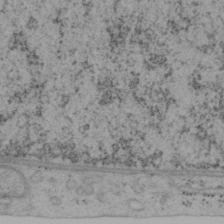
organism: Human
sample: HeLa cells